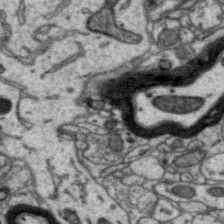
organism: Zebra finch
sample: Brain